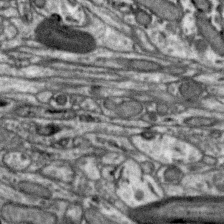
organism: Zebra finch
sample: Brain